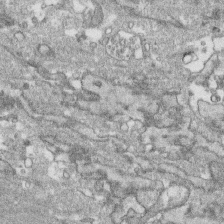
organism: Human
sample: CRL-1474